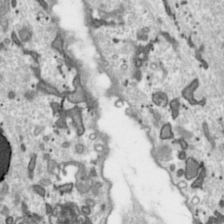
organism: Toxoplasma gondii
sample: Parasites in a vacuole inside a host cell